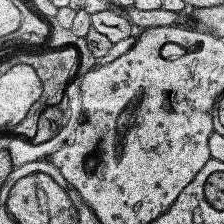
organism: Human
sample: Temporal Lobe